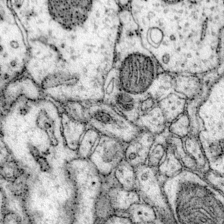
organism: Mouse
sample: Primary visual cortex